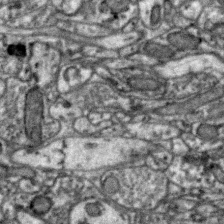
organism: Zebra finch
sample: Brain